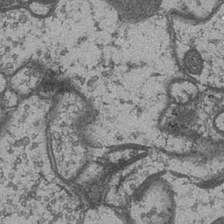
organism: Drosophila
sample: Optic medulla